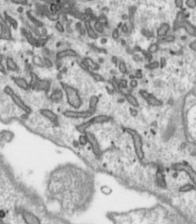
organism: Toxoplasma gondii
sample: Parasites in a vacuole inside a host cell